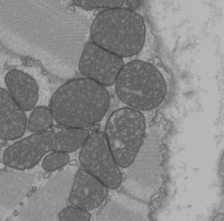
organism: C57BL Mouse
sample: Heart